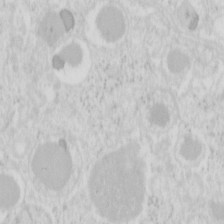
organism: Mouse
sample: Pancreas